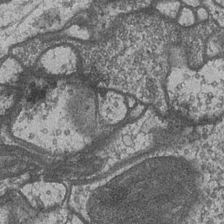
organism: Drosophila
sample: Optic medulla